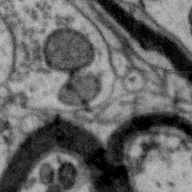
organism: Zebra finch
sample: Brain